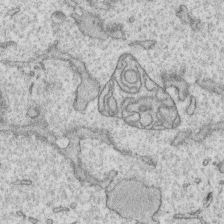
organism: Human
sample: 1205lu cells